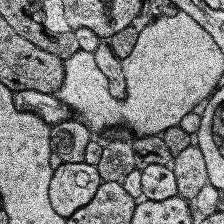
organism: Human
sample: Temporal Lobe